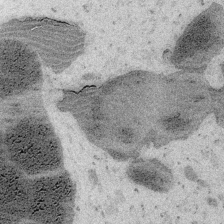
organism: Embia sp.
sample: Silk gland